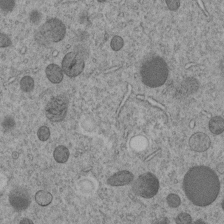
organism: C. elegans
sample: C. elegans embryo early stage